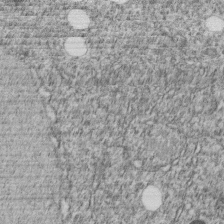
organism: C. elegans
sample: C. elegans embryo early stage